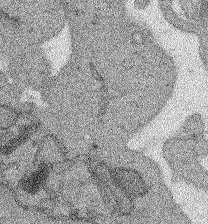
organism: Human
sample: HeLa cells